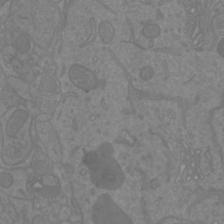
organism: Mouse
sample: Cortical neurons